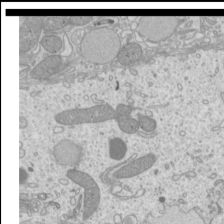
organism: Mouse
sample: Cilia; mouse epididymis